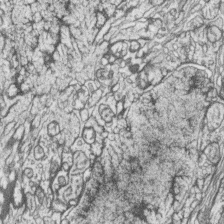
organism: Zebrafish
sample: synaptic ribbons in rod cells and cone cells